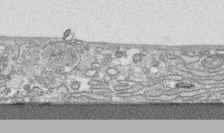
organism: Human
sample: CRL-1474